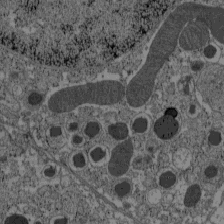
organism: C57BL Mouse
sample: Pancreatic islet